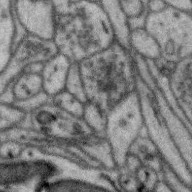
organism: Zebra finch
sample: Brain